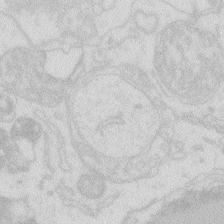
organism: Zebrafish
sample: Macrophage